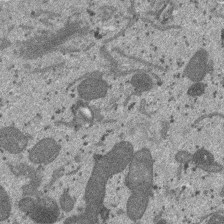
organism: Human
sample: Lung epithelial cells infected with SARS-CoV-2